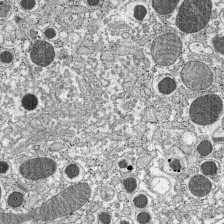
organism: C57BL Mouse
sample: Pancreatic islet